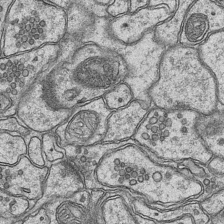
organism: Mouse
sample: CA1 Hippocampus